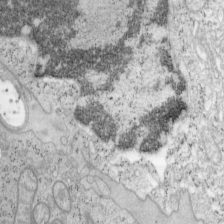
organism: Mouse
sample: OT-I killer T cells with ID8 ovarian cancer cells